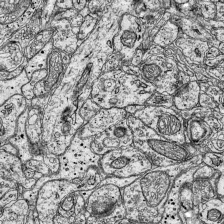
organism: Mouse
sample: Visual Cortex